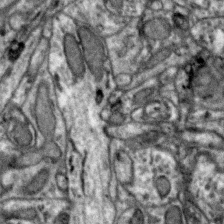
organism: Zebra finch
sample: Brain